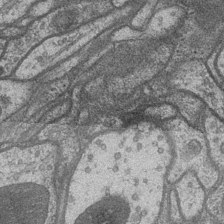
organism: Drosophila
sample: Optic medulla